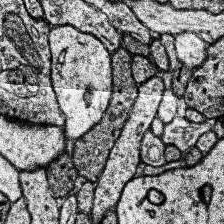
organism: Human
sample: Temporal Lobe